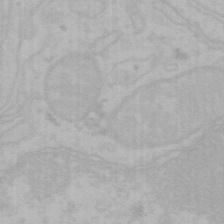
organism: Mouse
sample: Choroid plexus